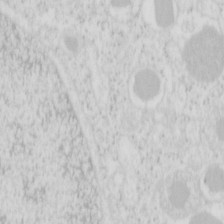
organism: Mouse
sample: Pancreas